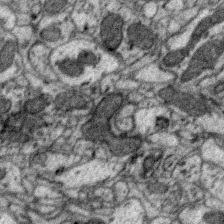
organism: Zebra finch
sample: Brain